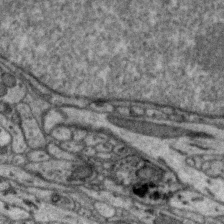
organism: Zebra finch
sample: Brain